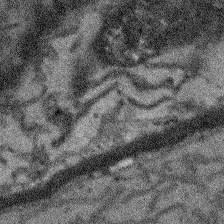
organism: Arabidopsis thaliana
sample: Root tip